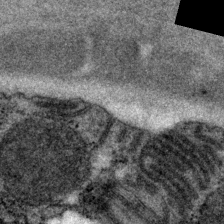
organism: P. pacificus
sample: Pharynx